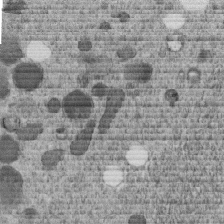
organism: C. elegans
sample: C. elegans embryo early stage